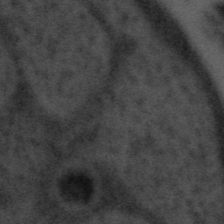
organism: Tuwongella immobilis